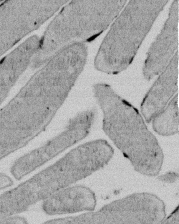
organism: E. coli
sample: Bacterial nucleoid